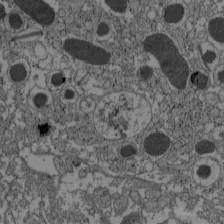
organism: C57BL Mouse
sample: Pancreatic islet